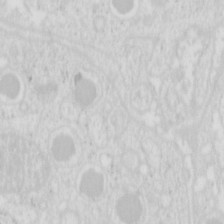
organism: Mouse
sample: Pancreas